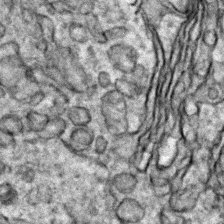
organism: Zebrafish